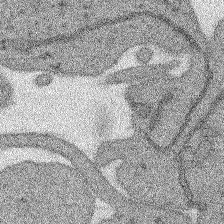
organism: Human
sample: HeLa cells